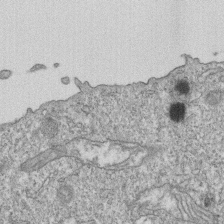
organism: Human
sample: HeLa cell HIV synapse